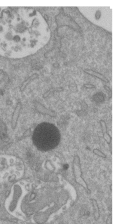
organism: Mouse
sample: ED-1 cell nuclei; centrioles